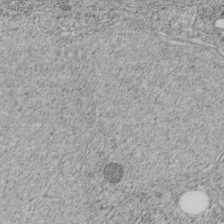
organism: C. elegans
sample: C. elegans embryo early stage